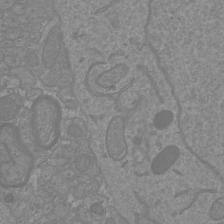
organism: Mouse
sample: Cortical neurons